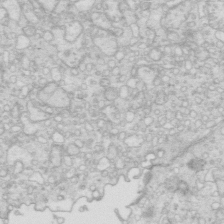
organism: Mouse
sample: Multiciliated cells